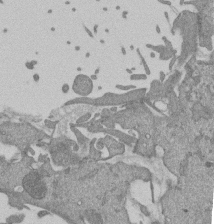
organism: Mouse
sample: ED-1 cell nuclei; centrioles